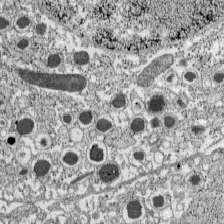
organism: C57BL Mouse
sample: Pancreatic islet